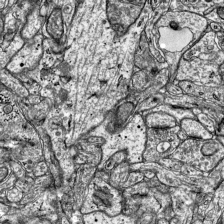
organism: Mouse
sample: Visual Cortex